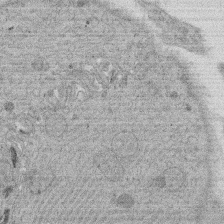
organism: Rat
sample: Salivary granule